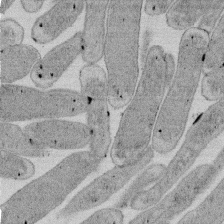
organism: E. coli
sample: Bacterial nucleoid